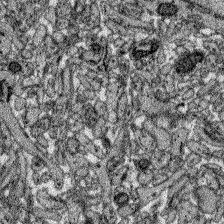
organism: Zebrafish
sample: Larval olfactory bulb